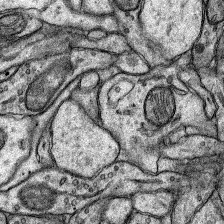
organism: Rat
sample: Hippocampus